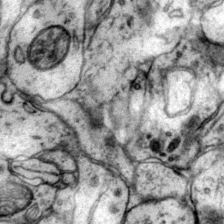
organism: Mouse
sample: Primary visual cortex